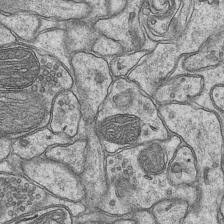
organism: Mouse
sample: CA1 Hippocampus